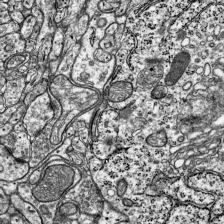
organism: Mouse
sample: Visual Cortex